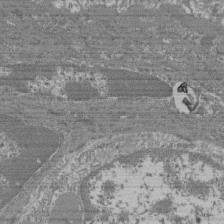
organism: Mouse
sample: Glomerulus